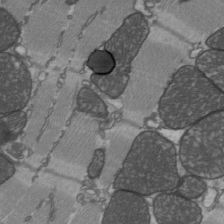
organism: C57BL Mouse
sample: Heart